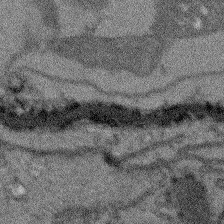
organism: Arabidopsis thaliana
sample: Root tip